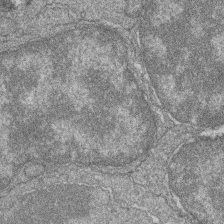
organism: Zebrafish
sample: Cilia; retinal pigment epithelium